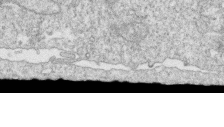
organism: Human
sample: HeLa cell HIV synapse